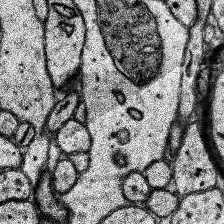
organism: Human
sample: Temporal Lobe